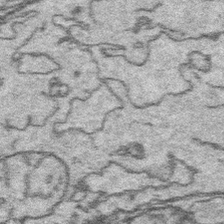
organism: Platynereis dumerilii